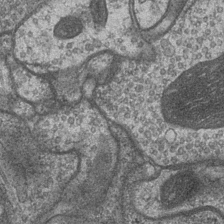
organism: Drosophila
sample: Optic medulla